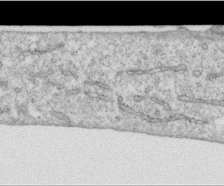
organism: Human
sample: Centriole in RPE cells